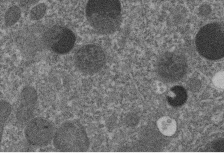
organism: C. elegans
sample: C. elegans embryo early stage